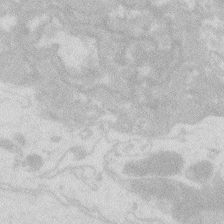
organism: Zebrafish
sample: Macrophage